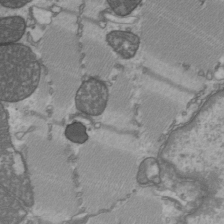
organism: C57BL Mouse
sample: Heart